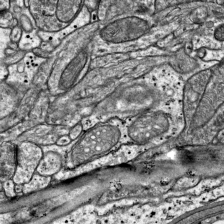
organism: Mouse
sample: Visual Cortex